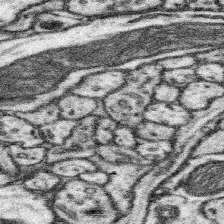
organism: Mouse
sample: Somatosensory cortex neuropil